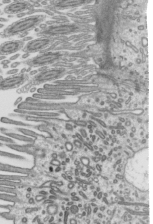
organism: Mouse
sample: Mouse epididymis efferent ductule cilia